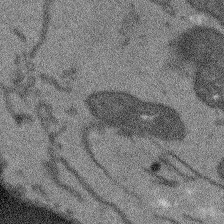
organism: Arabidopsis thaliana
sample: Root tip